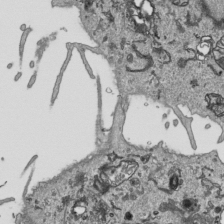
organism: Human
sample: Mitochondria in HCT116 cells